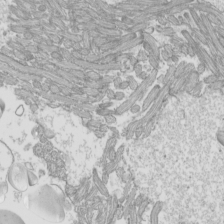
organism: Mouse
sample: Cilia; mouse epididymis